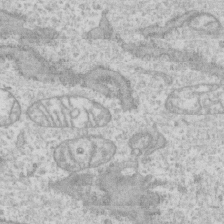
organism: Human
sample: CRL-1474